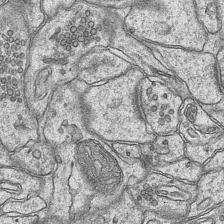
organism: Mouse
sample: CA1 Hippocampus